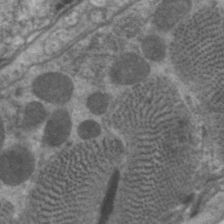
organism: C. elegans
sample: Pharynx